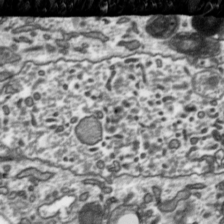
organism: Toxoplasma gondii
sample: Parasites in a vacuole inside a host cell